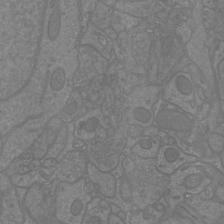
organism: Mouse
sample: Cortical neurons